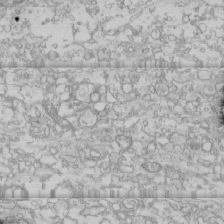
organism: Human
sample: CRL-1474